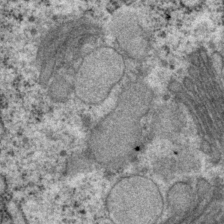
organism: P. pacificus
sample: Pharynx